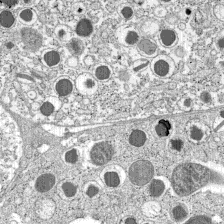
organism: C57BL Mouse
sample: Pancreatic islet